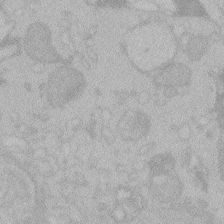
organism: Zebrafish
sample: Macrophage infected with Toxoplasma gondii